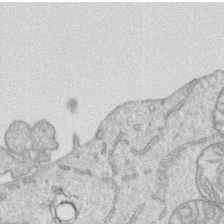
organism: Human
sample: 1205lu cells